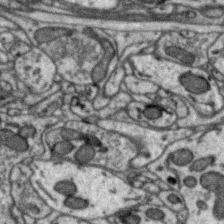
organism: Zebra finch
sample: Brain